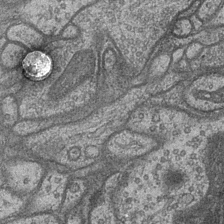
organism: Drosophila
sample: Optic medulla